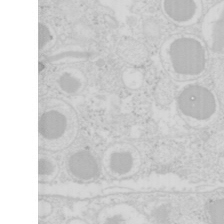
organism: Mouse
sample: Pancreas